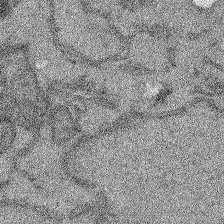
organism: Human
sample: HeLa cells